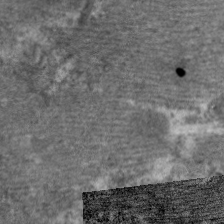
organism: C. elegans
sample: Pharynx